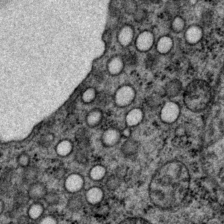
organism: P. pacificus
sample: Pharynx